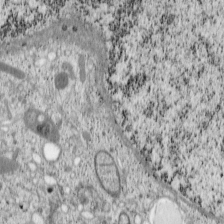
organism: African green monkey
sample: COS-7 cells